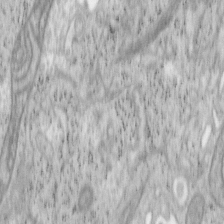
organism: Human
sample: HeLa cells